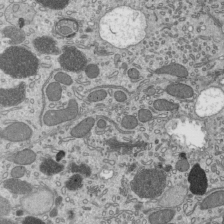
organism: Mouse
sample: Mouse epididymis efferent ductule cilia